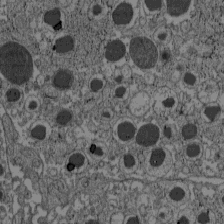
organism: C57BL Mouse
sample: Pancreatic islet